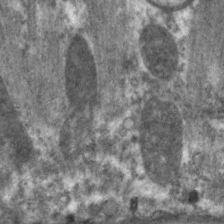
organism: C. elegans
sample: Pharynx